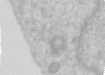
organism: Human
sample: Centriole in RPE cells